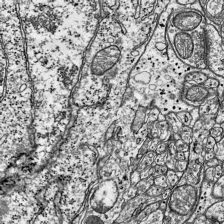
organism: Mouse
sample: Visual Cortex